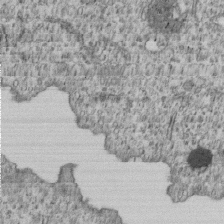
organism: Human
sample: MDA-MB-231 cells